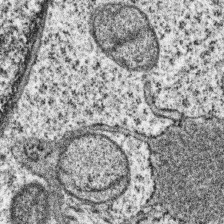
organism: Human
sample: HeLa cells